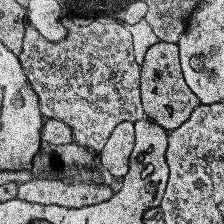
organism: Human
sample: Temporal Lobe